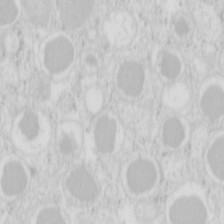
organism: Mouse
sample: Pancreas